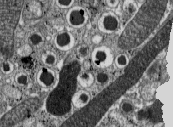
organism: C57BL Mouse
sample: Pancreatic islet